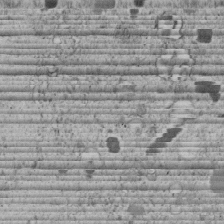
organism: C. elegans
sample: C. elegans embryo early stage